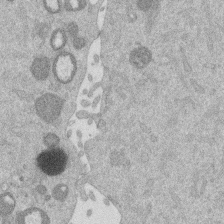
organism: Mouse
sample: Dividing mouse embryo 1 cell stage